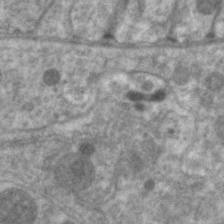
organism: C. elegans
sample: Pharynx